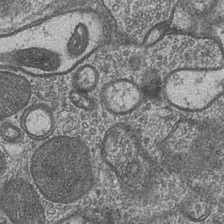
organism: Drosophila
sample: Optic medulla